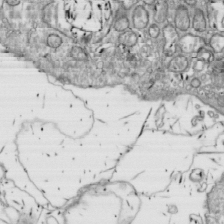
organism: Drosophila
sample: Cell division; meiosis; drosophila spermatocytes